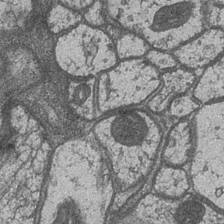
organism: Drosophila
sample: Optic medulla